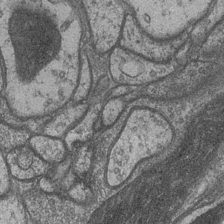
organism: Drosophila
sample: Optic medulla